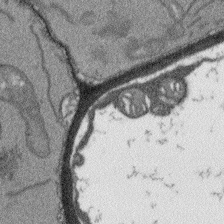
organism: Arabidopsis thaliana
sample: Root tip